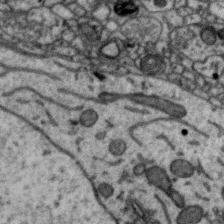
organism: Zebra finch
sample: Brain